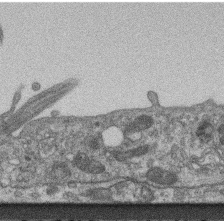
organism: Mouse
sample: Centriole in ependymal cells